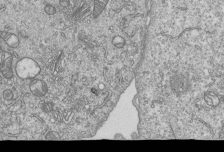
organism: Human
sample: MDA-MB-231 cells